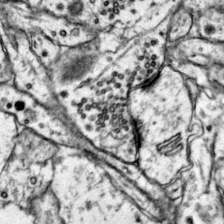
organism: Mouse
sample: Primary visual cortex